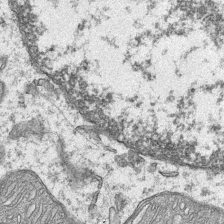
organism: Mouse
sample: CA1 Hippocampus